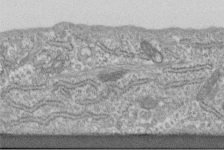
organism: Human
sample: Centriole in fibroblast cells